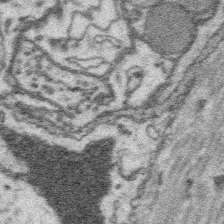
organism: Platynereis dumerilii